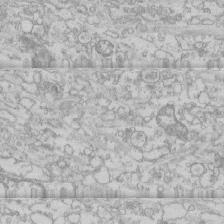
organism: Human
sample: CRL-1474